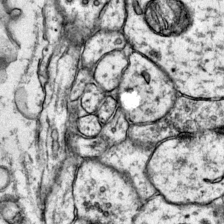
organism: Mouse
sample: Primary visual cortex